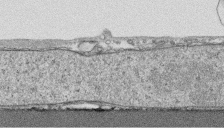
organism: Human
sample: CRL-1474